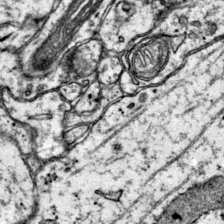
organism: Mouse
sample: Primary visual cortex